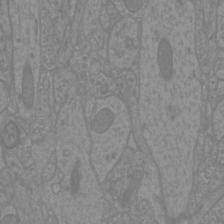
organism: Mouse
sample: Cortical neurons